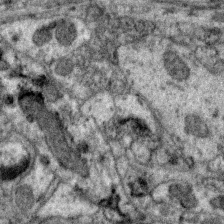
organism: Zebra finch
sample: Brain